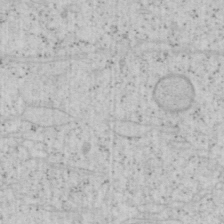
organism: Human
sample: HeLa cells